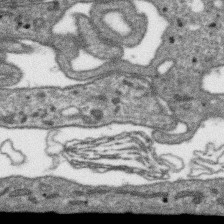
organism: Human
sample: Lung epithelial cells infected with SARS-CoV-2